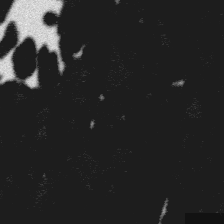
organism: Platynereis dumerilii